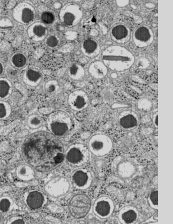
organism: C57BL Mouse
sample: Pancreatic islet